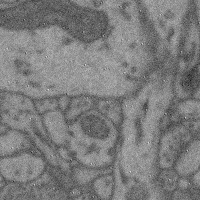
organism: Mouse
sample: Cerebral cortex